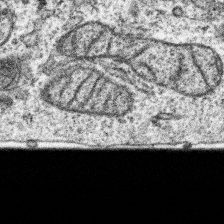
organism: Human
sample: HeLa cells